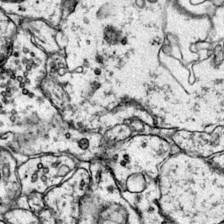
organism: Mouse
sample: Primary visual cortex